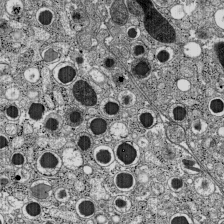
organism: C57BL Mouse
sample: Pancreatic islet